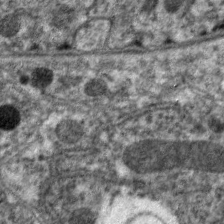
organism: C. elegans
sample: Pharynx